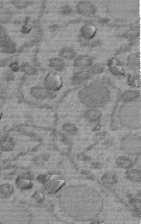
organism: C. elegans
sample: C. elegans embryo early stage